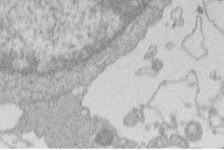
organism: Human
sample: Macrophage cells